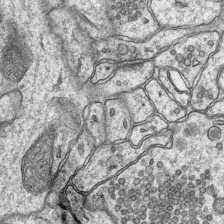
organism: Mouse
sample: CA1 Hippocampus